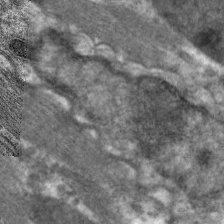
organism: C. elegans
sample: Pharynx